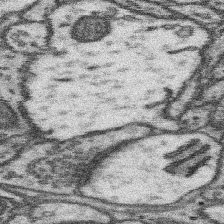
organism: Mouse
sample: Somatosensory cortex neuropil